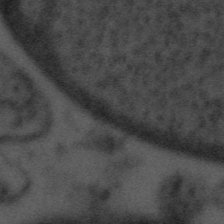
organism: Tuwongella immobilis